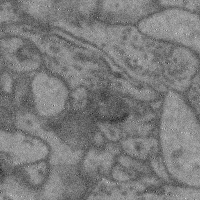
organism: Mouse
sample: Cerebral cortex